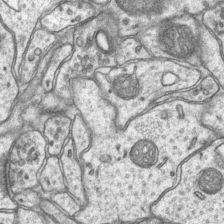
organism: Mouse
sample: CA1 Hippocampus